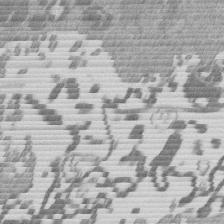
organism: Mouse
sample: Dividing mouse embryo 1 cell stage